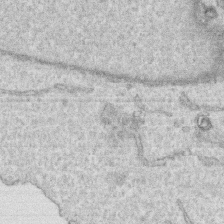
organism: Human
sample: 1205lu cells